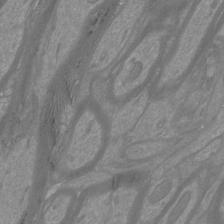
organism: Mouse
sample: Cortical neurons